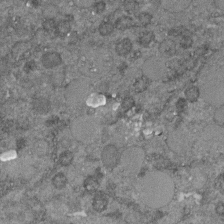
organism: C. elegans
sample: C. elegans embryo early stage